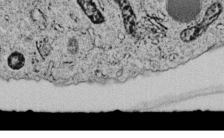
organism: C. elegans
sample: C. elegans embryo early stage